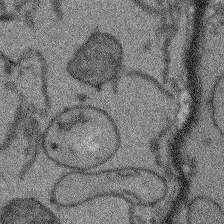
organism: Arabidopsis thaliana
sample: Root tip